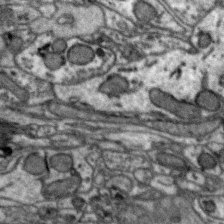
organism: Zebra finch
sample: Brain